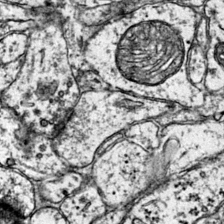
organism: Mouse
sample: Primary visual cortex